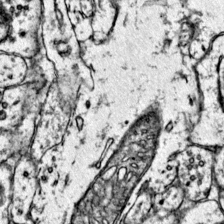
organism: Mouse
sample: Primary visual cortex